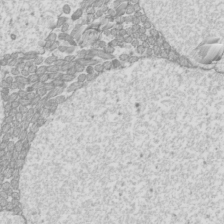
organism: Mouse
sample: Cilia; mouse epididymis